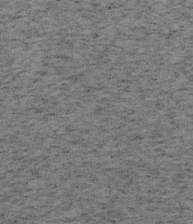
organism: Mouse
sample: OT-I killer T cells with ID8 ovarian cancer cells